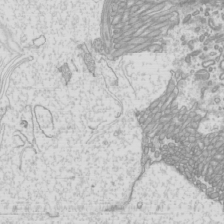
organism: Mouse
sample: Cilia; mouse epididymis